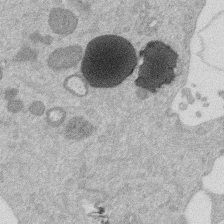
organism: Mouse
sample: Dividing mouse embryo 1 cell stage